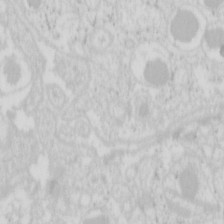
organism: Mouse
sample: Pancreas